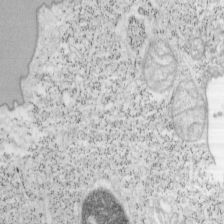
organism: Mouse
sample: OT-I killer T cells with ID8 ovarian cancer cells